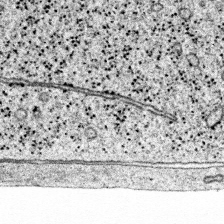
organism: Human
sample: HeLa cells